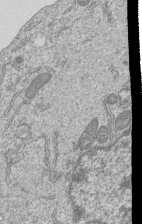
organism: Human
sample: MDA-MB-231 cells